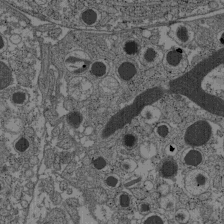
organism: C57BL Mouse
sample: Pancreatic islet